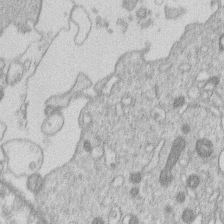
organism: Human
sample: Macrophage cells